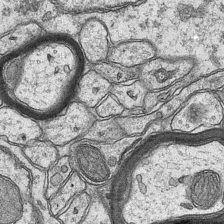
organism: Mouse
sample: CA1 Hippocampus